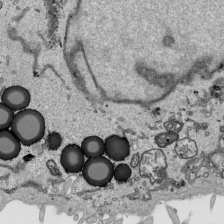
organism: Human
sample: Mitochondria in HCT116 cells